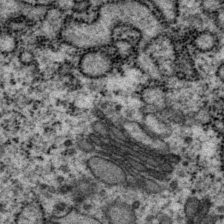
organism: P. pacificus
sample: Pharynx